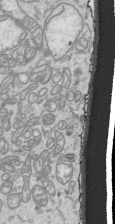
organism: Human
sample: Mitochondria in HCT116 cells